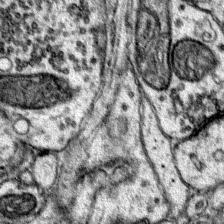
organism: Mouse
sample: Primary visual cortex